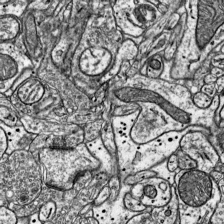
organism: Mouse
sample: Visual Cortex